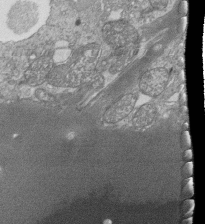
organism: Tetrahymena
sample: Cilia in tetrahymena